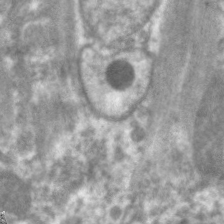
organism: C. elegans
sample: Pharynx